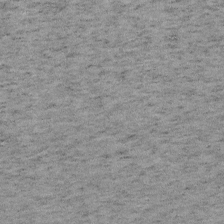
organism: Mouse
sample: OT-I killer T cells with ID8 ovarian cancer cells